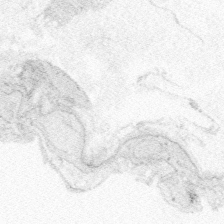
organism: Zebrafish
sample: Whole-Brain